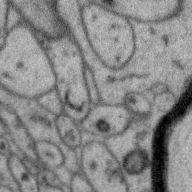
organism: Zebra finch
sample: Brain